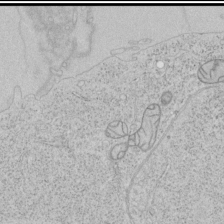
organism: Human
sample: Mitochondria in HCT116 cells